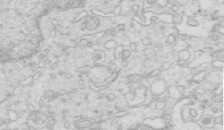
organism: Mouse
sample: Multiciliated cells